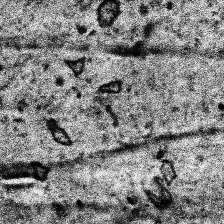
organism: Human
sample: Temporal Lobe